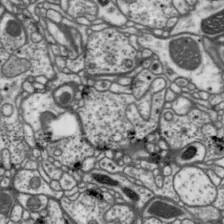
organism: Drosophila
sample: Protocerebral bridge